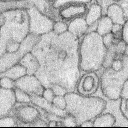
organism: Rabbit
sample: Retina